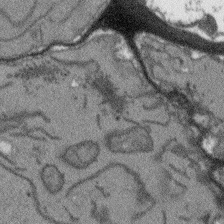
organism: Arabidopsis thaliana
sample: Root tip